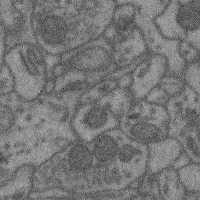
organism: Mouse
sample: Cerebral cortex